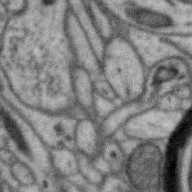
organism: Zebra finch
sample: Brain